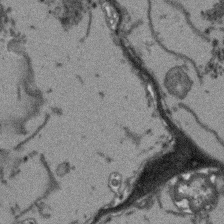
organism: Arabidopsis thaliana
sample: Root tip